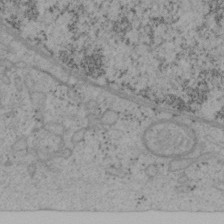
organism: Human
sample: HeLa cells